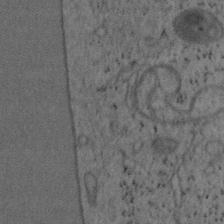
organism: Human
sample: HeLa cells